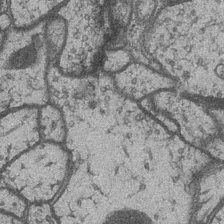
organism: Drosophila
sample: Optic medulla